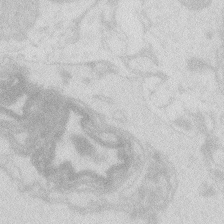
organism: Zebrafish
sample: Macrophage